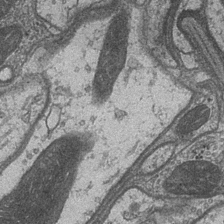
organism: Drosophila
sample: Optic medulla